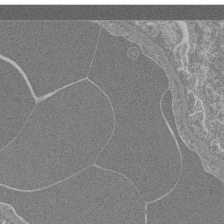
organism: Mouse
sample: Glomerulus